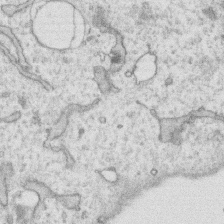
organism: Human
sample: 1205lu cells